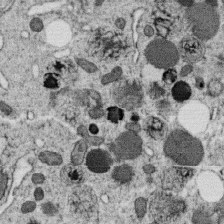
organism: C. elegans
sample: C. elegans oocyte; sperm cells